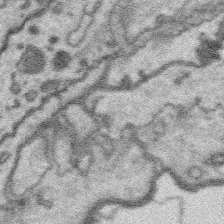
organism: Platynereis dumerilii